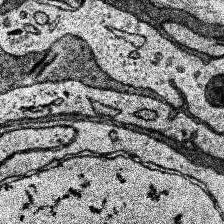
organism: Human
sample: Temporal Lobe